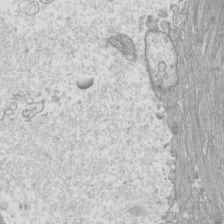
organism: Mouse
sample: Cilia; mouse epididymis